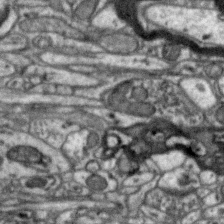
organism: Zebra finch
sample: Brain